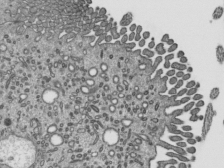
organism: Mouse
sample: Mouse epididymis efferent ductule cilia